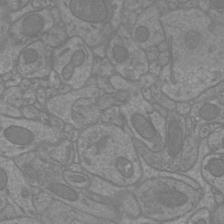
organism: Mouse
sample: Cortical neurons